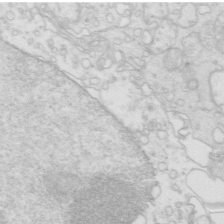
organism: Mouse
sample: Multiciliated cells